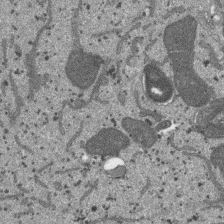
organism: Human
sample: Lung epithelial cells infected with SARS-CoV-2